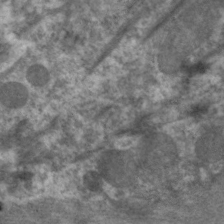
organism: C. elegans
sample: Pharynx